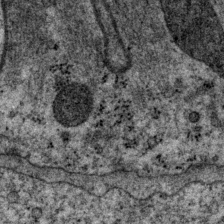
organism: P. pacificus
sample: Pharynx